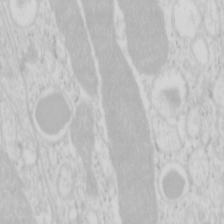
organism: Mouse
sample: Pancreas